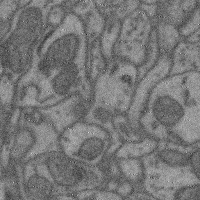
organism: Mouse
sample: Cerebral cortex